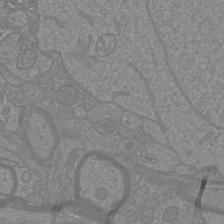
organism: Mouse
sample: Cortical neurons